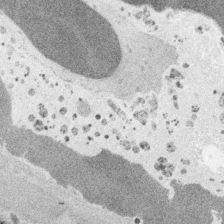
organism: Embia sp.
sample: Silk gland